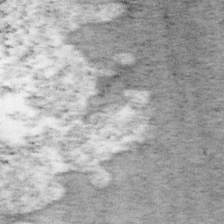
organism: Mouse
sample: OT-I killer T cells with ID8 ovarian cancer cells